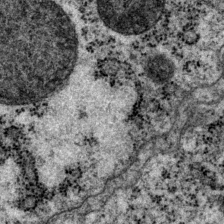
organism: P. pacificus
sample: Pharynx